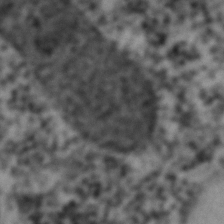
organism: C. elegans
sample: C. elegans embryo